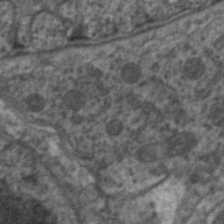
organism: C. elegans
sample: Pharynx